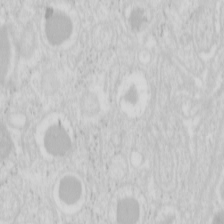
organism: Mouse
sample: Pancreas